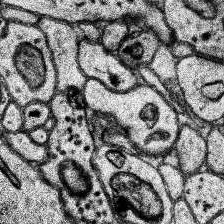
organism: Human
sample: Temporal Lobe